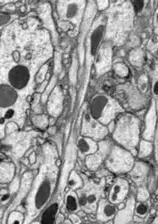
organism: Drosophila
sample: Optic lobe